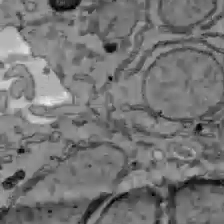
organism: C57BL Mouse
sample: Liver